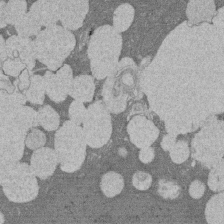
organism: Rat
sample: Salivary granule